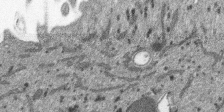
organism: Human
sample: Lung epithelial cells infected with SARS-CoV-2